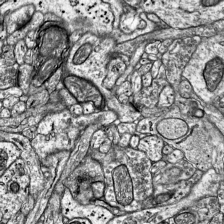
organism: Mouse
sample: Visual Cortex